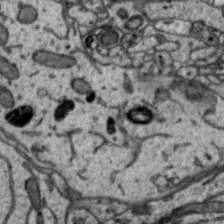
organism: Zebra finch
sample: Brain